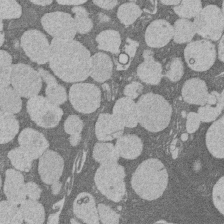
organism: Rat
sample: Salivary granule